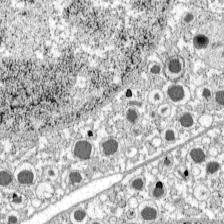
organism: C57BL Mouse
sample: Pancreatic islet